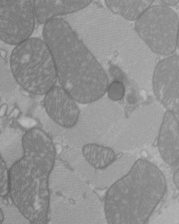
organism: C57BL Mouse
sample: Heart